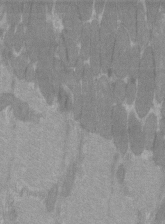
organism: C57BL Mouse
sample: Tibialis anterior muscle cell